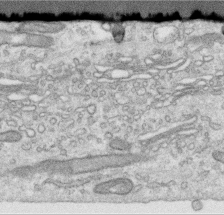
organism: Human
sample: Centriole in RPE cells